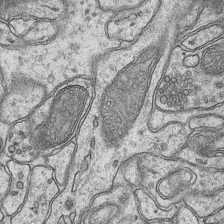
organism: Mouse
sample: CA1 Hippocampus